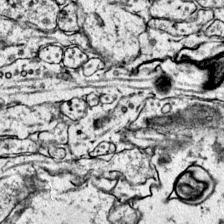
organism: Mouse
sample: Primary visual cortex